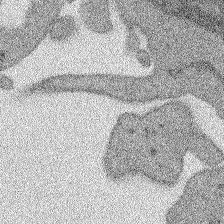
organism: Human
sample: HeLa cells